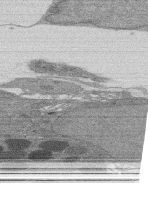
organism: Rat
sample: Salivary granule